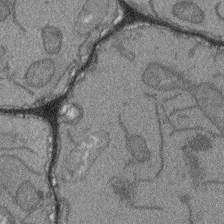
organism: Arabidopsis thaliana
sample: Root tip